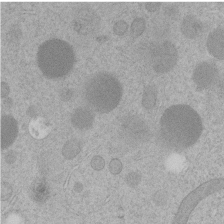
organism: C. elegans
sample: C. elegans embryo early stage